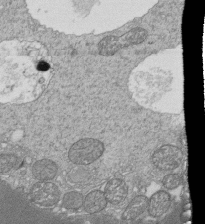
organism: Tetrahymena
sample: Cilia in tetrahymena